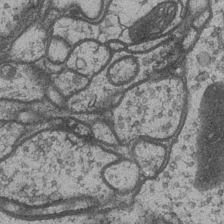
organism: Drosophila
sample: Optic medulla